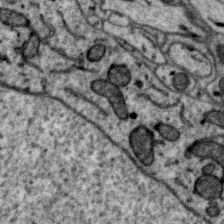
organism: Zebra finch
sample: Brain